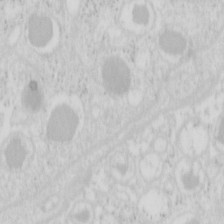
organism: Mouse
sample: Pancreas